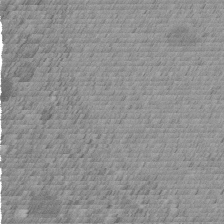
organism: C. elegans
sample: C. elegans embryo early stage